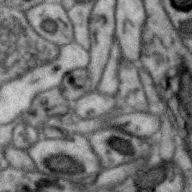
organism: Zebra finch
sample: Brain